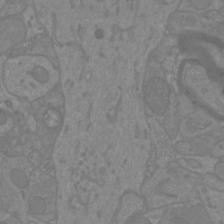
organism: Mouse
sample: Cortical neurons